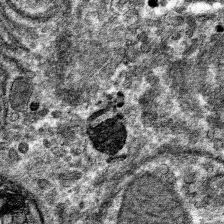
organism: Mouse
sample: Mouse hepatocytes